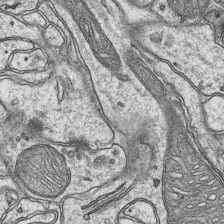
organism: Mouse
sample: CA1 Hippocampus